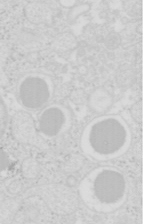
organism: Mouse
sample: Pancreas